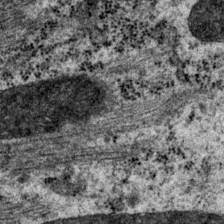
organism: P. pacificus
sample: Pharynx